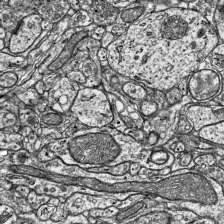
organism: Mouse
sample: Visual Cortex